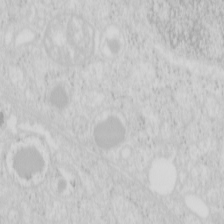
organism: Mouse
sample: Pancreas